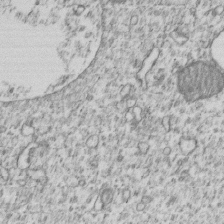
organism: Human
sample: MDA-MB-231 cells